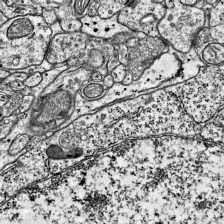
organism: Mouse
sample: Visual Cortex